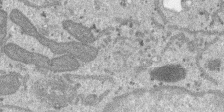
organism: Human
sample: Lung epithelial cells infected with SARS-CoV-2